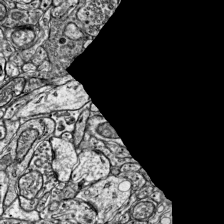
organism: Mouse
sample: Visual Cortex